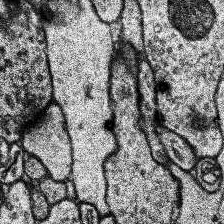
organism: Human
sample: Temporal Lobe